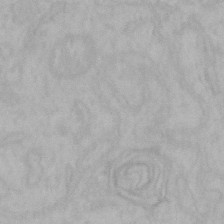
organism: Mouse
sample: Choroid plexus